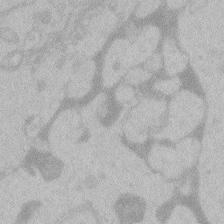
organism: Zebrafish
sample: Macrophage infected with Toxoplasma gondii